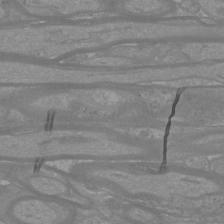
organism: Mouse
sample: Cortical neurons